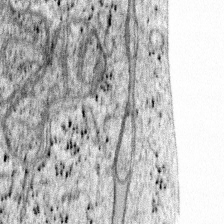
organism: Human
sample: HeLa cells